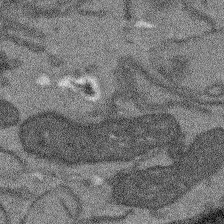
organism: Arabidopsis thaliana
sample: Root tip